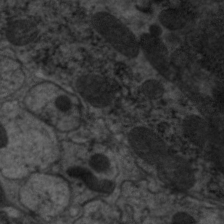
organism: C. elegans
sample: Pharynx